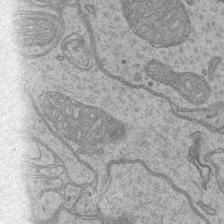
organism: Mouse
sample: CA1 Hippocampus